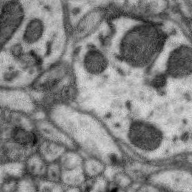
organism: Zebra finch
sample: Brain